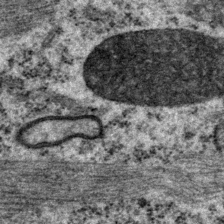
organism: P. pacificus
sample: Pharynx